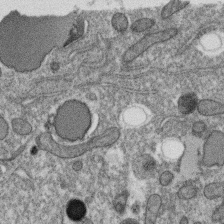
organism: C. elegans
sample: C. elegans oocyte; sperm cells